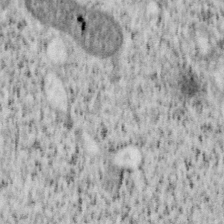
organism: Mouse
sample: OT-I killer T cells with ID8 ovarian cancer cells